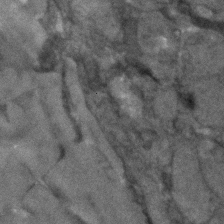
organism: Human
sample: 1205lu cells